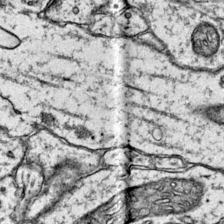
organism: Mouse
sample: Primary visual cortex